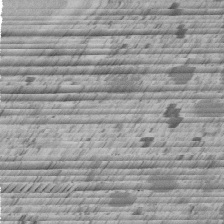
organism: C. elegans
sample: C. elegans embryo early stage